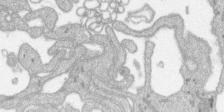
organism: Human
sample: Lung epithelial cells infected with SARS-CoV-2